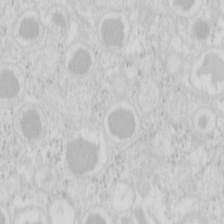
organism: Mouse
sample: Pancreas